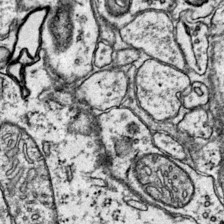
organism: Mouse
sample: Primary visual cortex